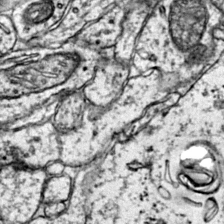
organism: Mouse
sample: Primary visual cortex